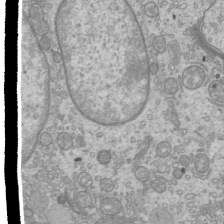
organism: Mouse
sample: Cilia; mouse epididymis